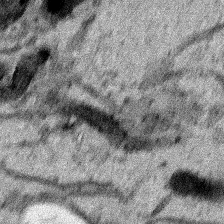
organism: Human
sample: Mitochondria in HCT116 cells